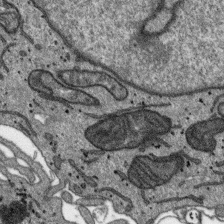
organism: Human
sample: Lung epithelial cells, uninfected (mock) control